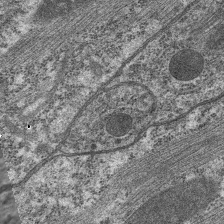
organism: C. elegans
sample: Pharynx